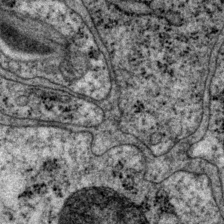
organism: P. pacificus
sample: Pharynx